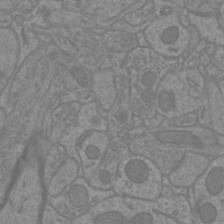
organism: Mouse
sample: Cortical neurons